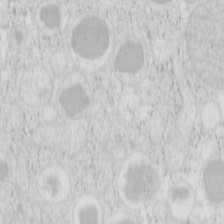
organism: Mouse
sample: Pancreas